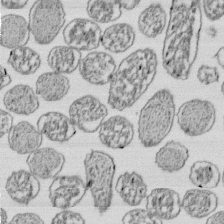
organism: E. coli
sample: Bacterial nucleoid